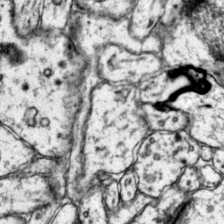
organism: Mouse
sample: Primary visual cortex